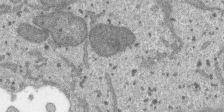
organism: Human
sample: Lung epithelial cells infected with SARS-CoV-2